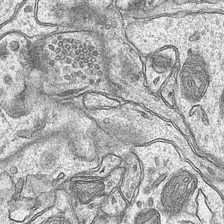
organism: Mouse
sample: CA1 Hippocampus